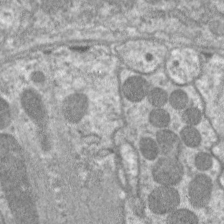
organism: C. elegans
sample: Pharynx